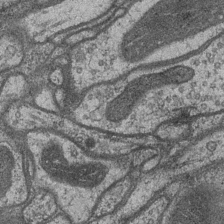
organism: Drosophila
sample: Optic medulla